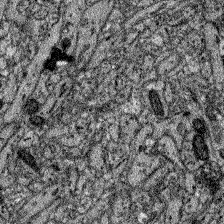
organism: Zebrafish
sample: Larval olfactory bulb